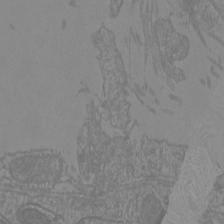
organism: Mouse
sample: Cortical neurons